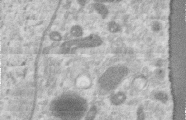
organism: Human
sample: Centriole in RPE cells